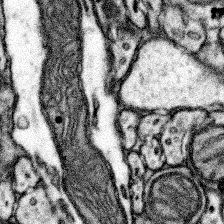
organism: Mouse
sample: Somatosensory cortex neuropil